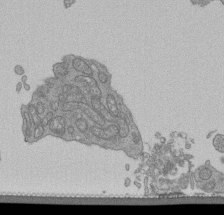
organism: Human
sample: Retinal organoid Rod and Cone cells